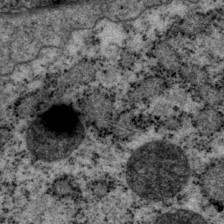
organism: P. pacificus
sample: Pharynx